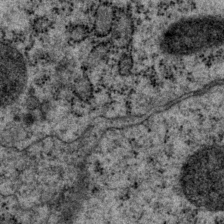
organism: P. pacificus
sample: Pharynx